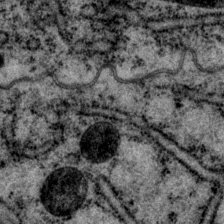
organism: P. pacificus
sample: Pharynx